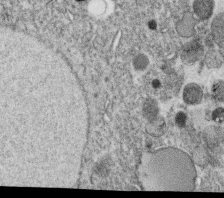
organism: C. elegans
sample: C. elegans oocyte; sperm cells